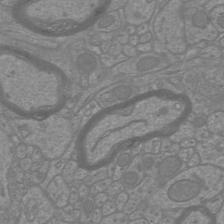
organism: Mouse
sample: Cortical neurons